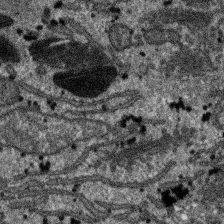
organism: Human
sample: Lung epithelial cells infected with SARS-CoV-2